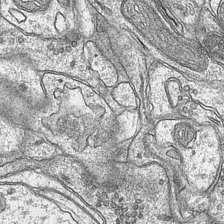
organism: Mouse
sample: CA1 Hippocampus